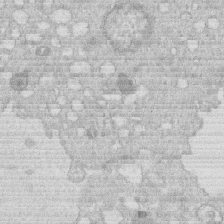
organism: Human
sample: Macrophage cells